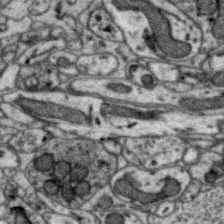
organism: Zebra finch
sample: Brain